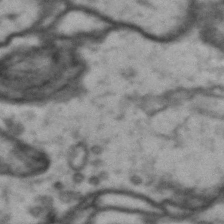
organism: Drosophila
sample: Brain